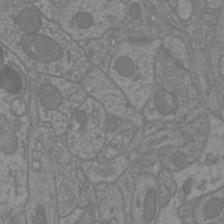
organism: Mouse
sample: Cortical neurons